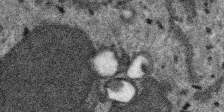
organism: Human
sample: Lung epithelial cells infected with SARS-CoV-2